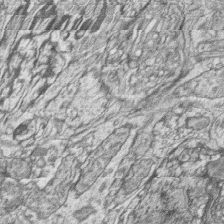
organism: Zebrafish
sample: synaptic ribbons in rod cells and cone cells